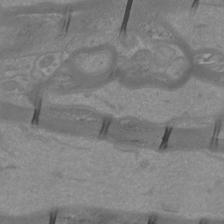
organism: Mouse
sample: Cortical neurons